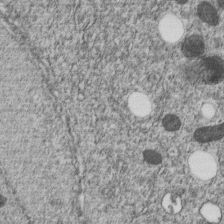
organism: C. elegans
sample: C. elegans embryo early stage